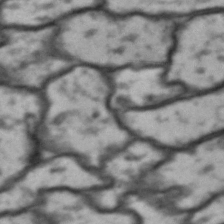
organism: Drosophila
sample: Brain